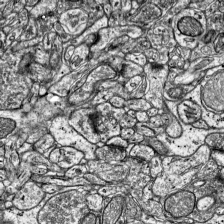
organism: Mouse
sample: Visual Cortex